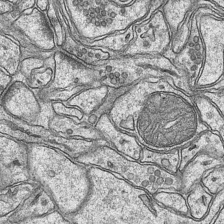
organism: Mouse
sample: CA1 Hippocampus